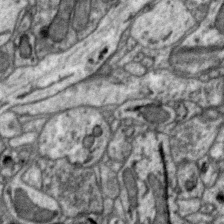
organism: Zebra finch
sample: Brain